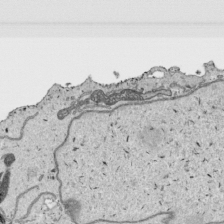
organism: Human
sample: Mitochondria in HCT116 cells